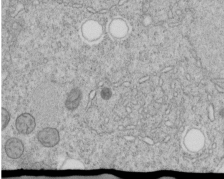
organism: C. elegans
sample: C. elegans embryo early stage